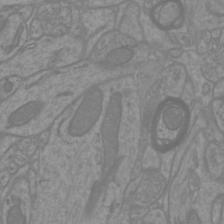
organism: Mouse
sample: Cortical neurons